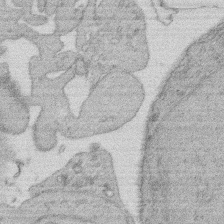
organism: Rat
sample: Salivary granule